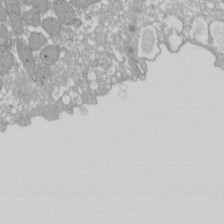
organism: Xenopus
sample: Cilia; centrioles in frog embryo cells